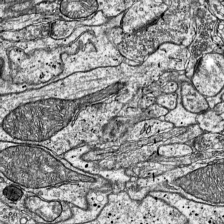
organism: Mouse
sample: Visual Cortex